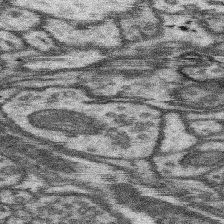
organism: Mouse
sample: Somatosensory cortex neuropil